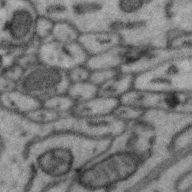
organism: Zebra finch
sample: Brain